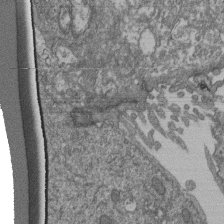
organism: Human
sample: Retinal organoid Rod and Cone cells